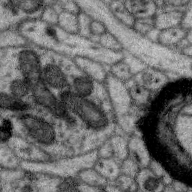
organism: Zebra finch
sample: Brain